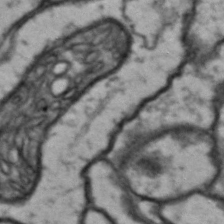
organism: Drosophila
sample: Brain